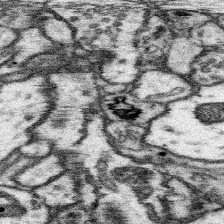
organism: Mouse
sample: Somatosensory cortex neuropil